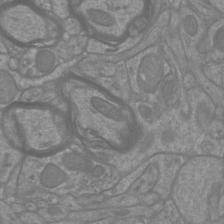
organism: Mouse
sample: Cortical neurons